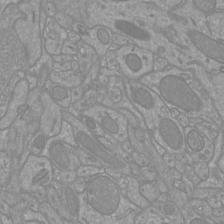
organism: Mouse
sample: Cortical neurons